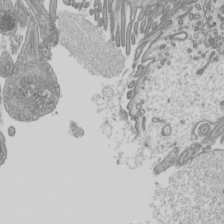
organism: Mouse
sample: Cilia; mouse epididymis